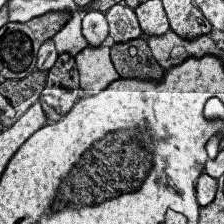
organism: Human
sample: Temporal Lobe